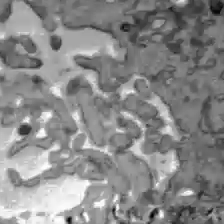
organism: C57BL Mouse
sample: Liver